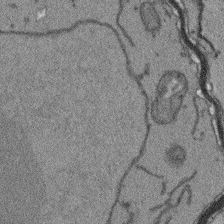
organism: Arabidopsis thaliana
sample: Root tip